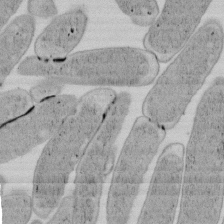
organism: E. coli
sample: Bacterial nucleoid